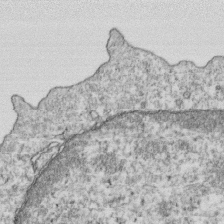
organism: Mouse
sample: Activated OT-1 CD8+ T cells